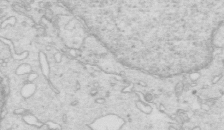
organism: Mouse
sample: Multiciliated cells